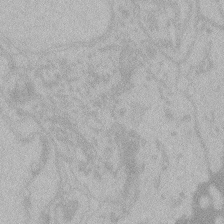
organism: Zebrafish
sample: Macrophage infected with Toxoplasma gondii